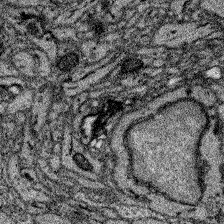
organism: Zebrafish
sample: Larval olfactory bulb